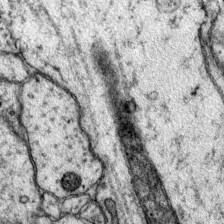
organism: Mouse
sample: Primary visual cortex